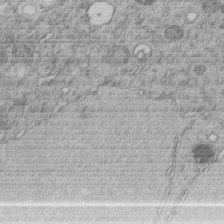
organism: C. elegans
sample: C. elegans embryo early stage